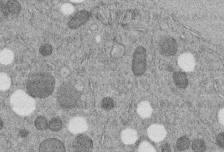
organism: C. elegans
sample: C. elegans embryo early stage